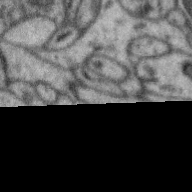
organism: Zebra finch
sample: Brain